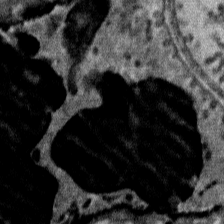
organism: Mouse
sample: Mouse Salivary gland